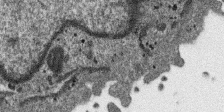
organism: Human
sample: Lung epithelial cells infected with SARS-CoV-2